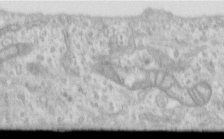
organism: Human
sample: Centriole in RPE cells